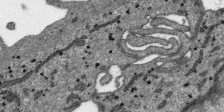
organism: Human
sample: Lung epithelial cells, uninfected (mock) control